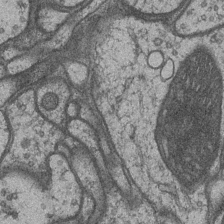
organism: Drosophila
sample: Optic medulla